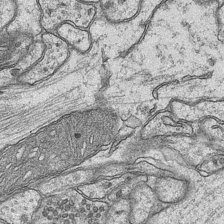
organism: Mouse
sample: CA1 Hippocampus